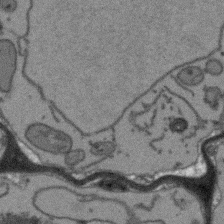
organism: Arabidopsis thaliana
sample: Root tip